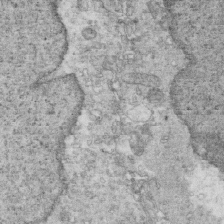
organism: Mouse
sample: Multiciliated cells